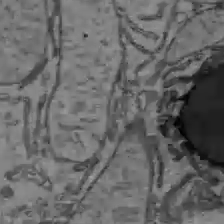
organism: C57BL Mouse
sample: Liver